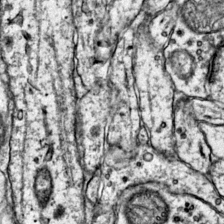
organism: Mouse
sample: Primary visual cortex